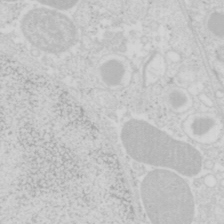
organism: Mouse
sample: Pancreas